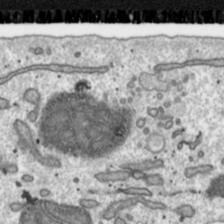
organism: Toxoplasma gondii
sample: Parasites in a vacuole inside a host cell